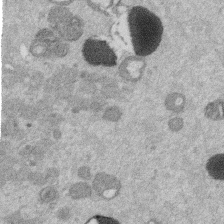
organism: Mouse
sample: Dividing mouse embryo 1 cell stage